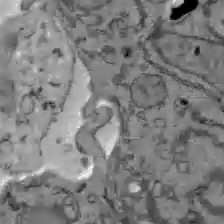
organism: C57BL Mouse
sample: Liver